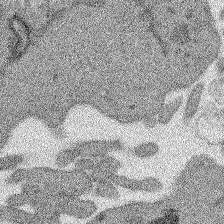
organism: Human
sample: HeLa cells